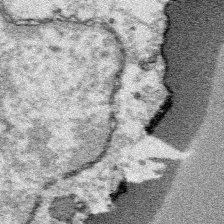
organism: Platynereis dumerilii